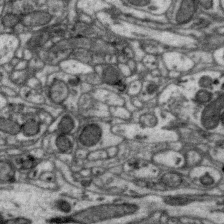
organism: Zebra finch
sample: Brain